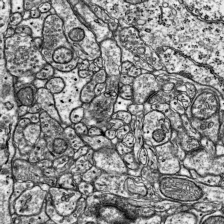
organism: Mouse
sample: Visual Cortex